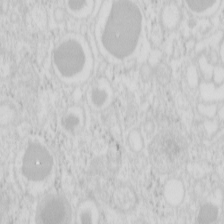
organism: Mouse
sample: Pancreas